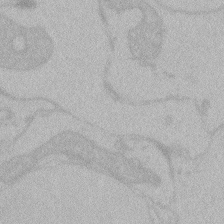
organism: Zebrafish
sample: Macrophage infected with Toxoplasma gondii